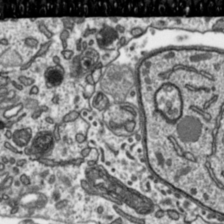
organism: Toxoplasma gondii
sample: Parasites in a vacuole inside a host cell